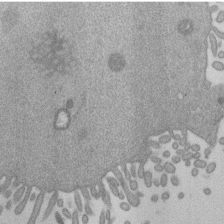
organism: Mouse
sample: Dividing mouse embryo 1 cell stage